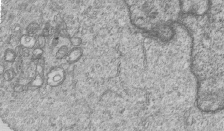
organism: Human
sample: MDA-MB-231 cells